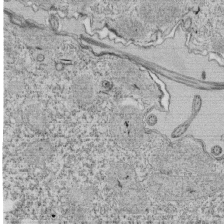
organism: Tetrahymena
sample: Cilia in tetrahymena